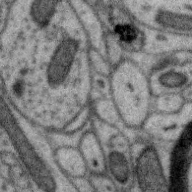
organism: Zebra finch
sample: Brain